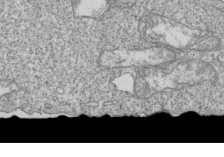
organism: Human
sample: HeLa cell HIV synapse